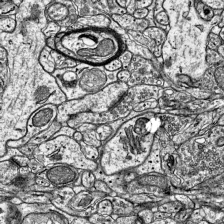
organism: Mouse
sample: Visual Cortex